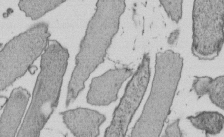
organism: E. coli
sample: Bacterial nucleoid